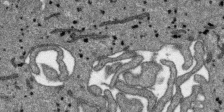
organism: Human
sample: Lung epithelial cells, uninfected (mock) control